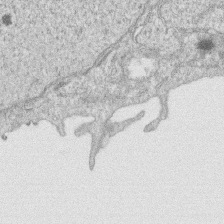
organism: Human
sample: HeLa cell HIV synapse